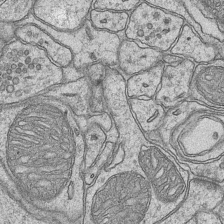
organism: Mouse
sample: CA1 Hippocampus